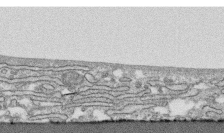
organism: Human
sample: CRL-1474